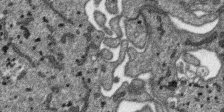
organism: Human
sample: Lung epithelial cells infected with SARS-CoV-2